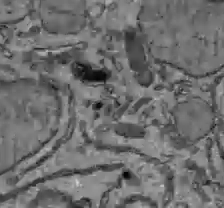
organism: C57BL Mouse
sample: Liver